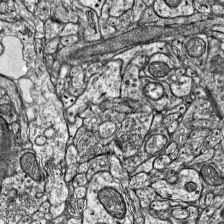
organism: Mouse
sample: Visual Cortex